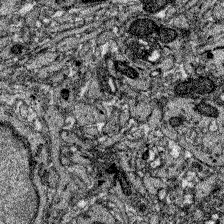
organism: Zebrafish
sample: Larval olfactory bulb